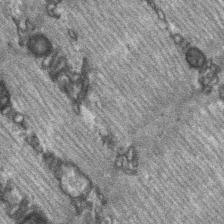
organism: C57BL Mouse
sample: Soleus